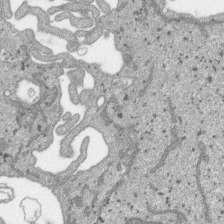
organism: Human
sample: Lung epithelial cells infected with SARS-CoV-2